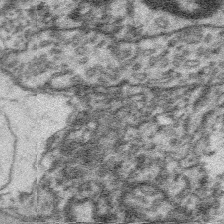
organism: Platynereis dumerilii